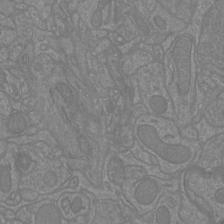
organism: Mouse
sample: Cortical neurons